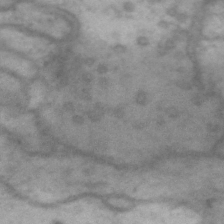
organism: Drosophila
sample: Brain